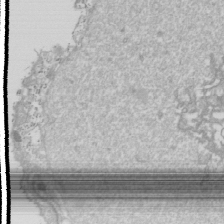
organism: Drosophila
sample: Cell division; meiosis; drosophila spermatocytes